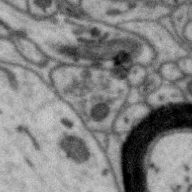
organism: Zebra finch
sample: Brain